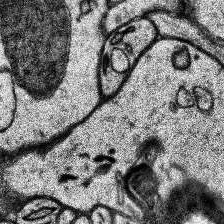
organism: Human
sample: Temporal Lobe